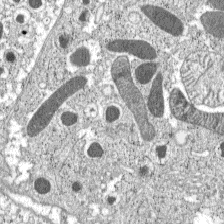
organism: C57BL Mouse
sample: Pancreatic islet